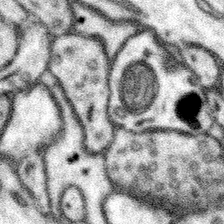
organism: Mouse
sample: Somatosensory cortex neuropil